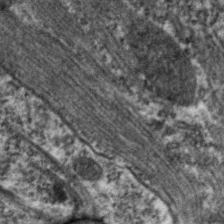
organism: C. elegans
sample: Pharynx